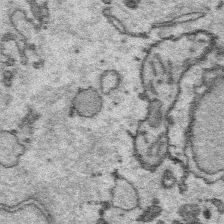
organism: Platynereis dumerilii